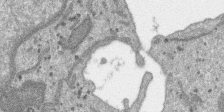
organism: Human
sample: Lung epithelial cells infected with SARS-CoV-2